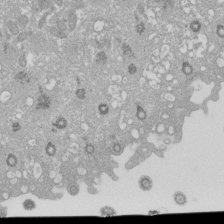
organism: Xenopus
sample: Cilia; centrioles in frog embryo cells